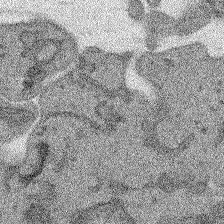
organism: Human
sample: HeLa cells